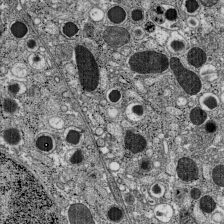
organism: C57BL Mouse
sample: Pancreatic islet